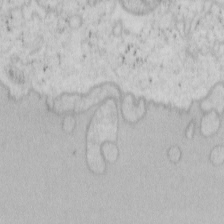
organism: Human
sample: HeLa cells